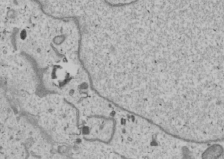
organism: Human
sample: Mitochondria in U2OS cells